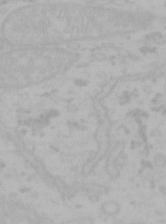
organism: Mouse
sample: Choroid plexus